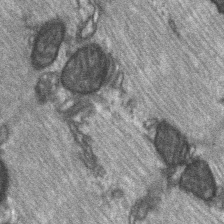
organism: C57BL Mouse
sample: Soleus